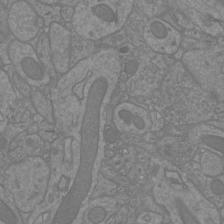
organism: Mouse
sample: Cortical neurons